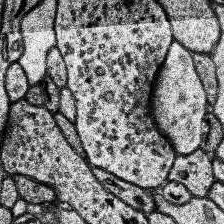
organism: Human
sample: Temporal Lobe